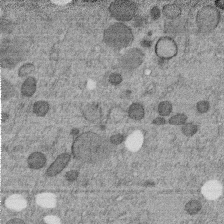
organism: C. elegans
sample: C. elegans embryo early stage